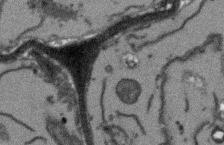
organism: Arabidopsis thaliana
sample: Root tip